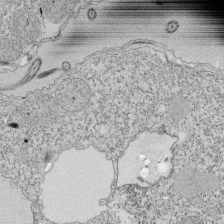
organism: Tetrahymena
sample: Cilia in tetrahymena